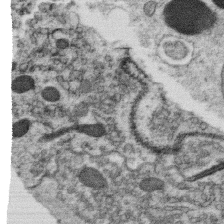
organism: C. elegans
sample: C. elegans oocyte; sperm cells